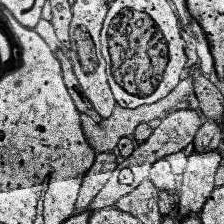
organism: Human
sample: Temporal Lobe